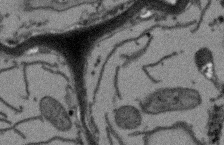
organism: Arabidopsis thaliana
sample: Root tip